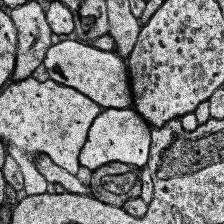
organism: Human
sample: Temporal Lobe